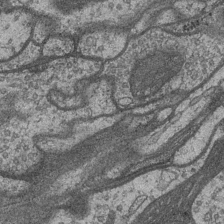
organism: Drosophila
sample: Optic medulla